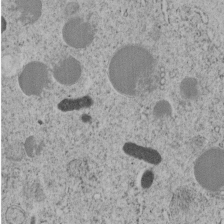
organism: C. elegans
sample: C. elegans embryo early stage